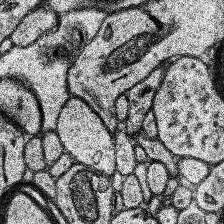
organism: Human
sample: Temporal Lobe